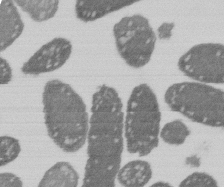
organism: E. coli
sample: Bacterial nucleoid